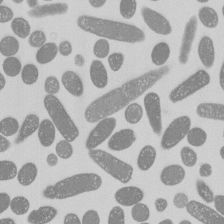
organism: E. coli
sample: Bacterial nucleoid